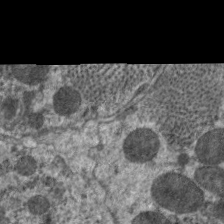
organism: C. elegans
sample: Pharynx